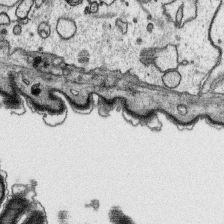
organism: Platynereis dumerilii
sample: Parapodia